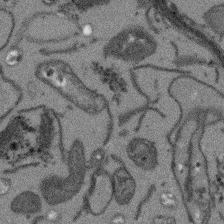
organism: Arabidopsis thaliana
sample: Root tip